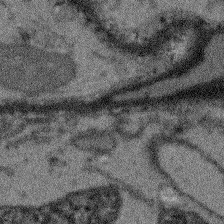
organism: Arabidopsis thaliana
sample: Root tip